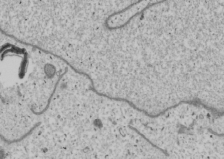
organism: Human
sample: Mitochondria in U2OS cells